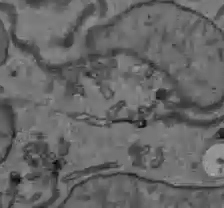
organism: C57BL Mouse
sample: Liver